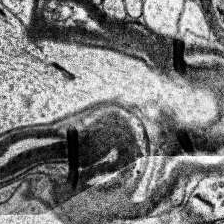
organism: Human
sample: Temporal Lobe